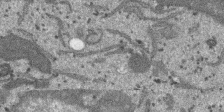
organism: Human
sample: Lung epithelial cells infected with SARS-CoV-2